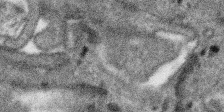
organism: Human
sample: Lung epithelial cells infected with SARS-CoV-2